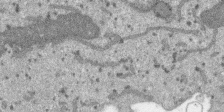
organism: Human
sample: Lung epithelial cells infected with SARS-CoV-2